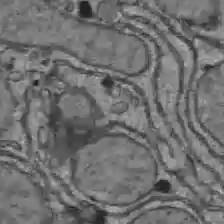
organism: C57BL Mouse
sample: Liver